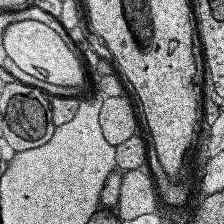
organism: Human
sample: Temporal Lobe